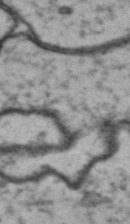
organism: Drosophila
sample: Brain